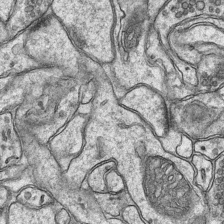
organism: Mouse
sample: CA1 Hippocampus